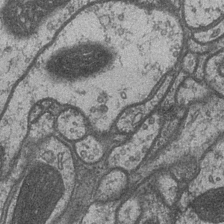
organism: Drosophila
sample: Optic medulla